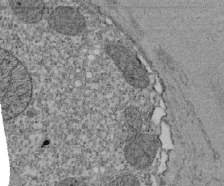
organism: Tetrahymena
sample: Cilia in tetrahymena